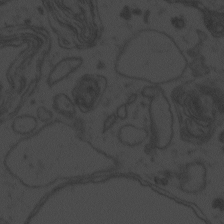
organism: Zebrafish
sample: Macrophage infected with Toxoplasma gondii